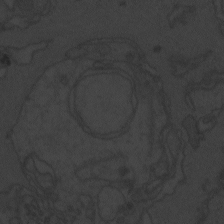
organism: Zebrafish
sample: Macrophage infected with Toxoplasma gondii